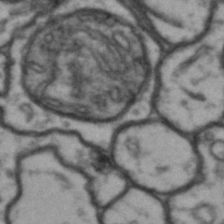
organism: Drosophila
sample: Brain